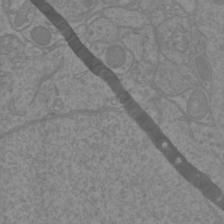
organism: Mouse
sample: Cortical neurons